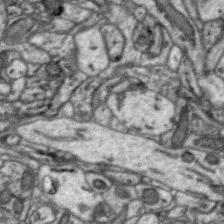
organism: Zebra finch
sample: Brain